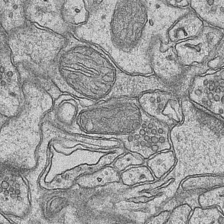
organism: Mouse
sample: CA1 Hippocampus